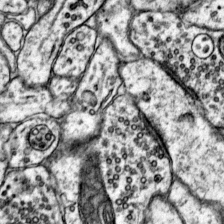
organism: Mouse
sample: Primary visual cortex